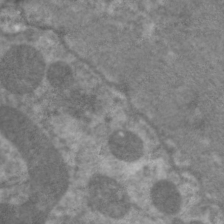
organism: C. elegans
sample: Pharynx